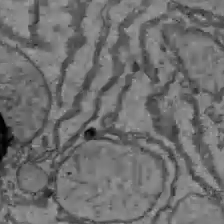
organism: C57BL Mouse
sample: Liver